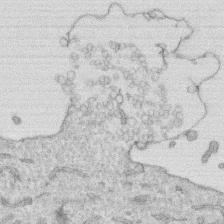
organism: Human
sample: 1205lu cells